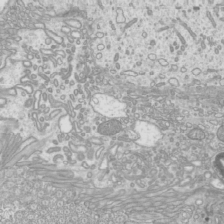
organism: Mouse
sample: Cilia; mouse epididymis